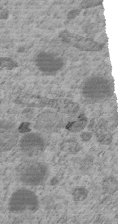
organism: C. elegans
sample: C. elegans embryo early stage